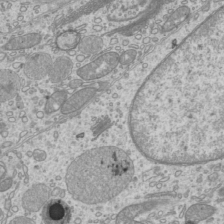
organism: Mouse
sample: Cilia; mouse epididymis